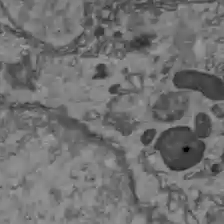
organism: C57BL Mouse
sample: Liver